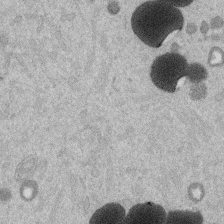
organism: Mouse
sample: Dividing mouse embryo 1 cell stage